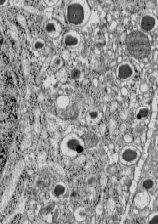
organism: C57BL Mouse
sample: Pancreatic islet